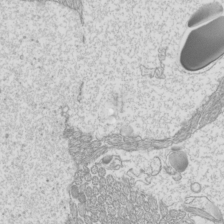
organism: Mouse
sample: Cilia; mouse epididymis